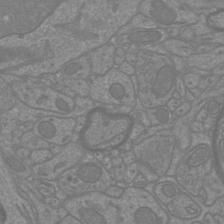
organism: Mouse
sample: Cortical neurons